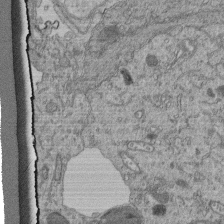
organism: Human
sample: Retinal organoid Rod and Cone cells